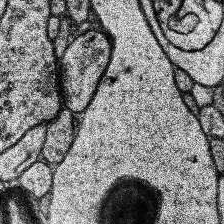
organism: Human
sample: Temporal Lobe